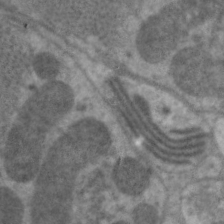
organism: C. elegans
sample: Pharynx